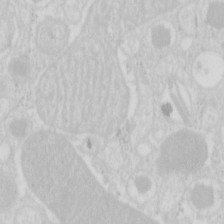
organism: Mouse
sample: Pancreas